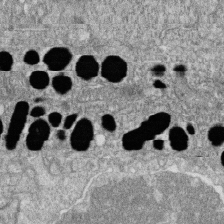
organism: Zebrafish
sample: Cilia; retinal pigment epithelium